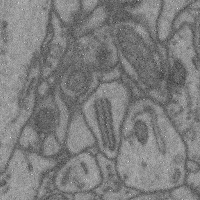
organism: Mouse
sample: Cerebral cortex